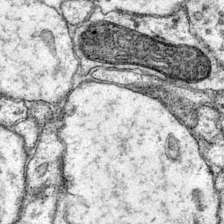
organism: Mouse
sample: Primary visual cortex